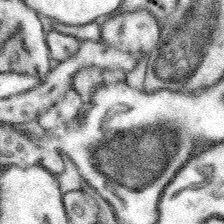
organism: Mouse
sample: Somatosensory cortex neuropil